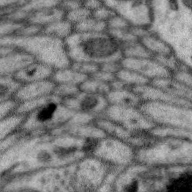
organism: Zebra finch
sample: Brain